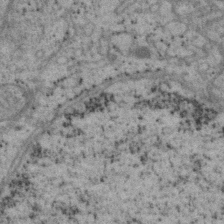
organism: Human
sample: HeLa cells